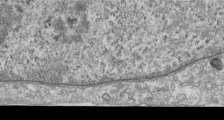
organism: Human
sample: Centriole in RPE cells